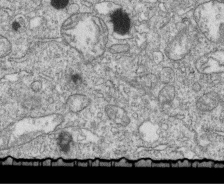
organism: Human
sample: HeLa cell HIV synapse